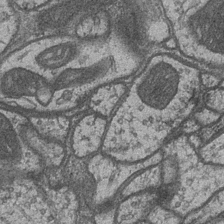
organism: Drosophila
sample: Optic medulla